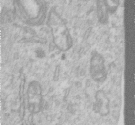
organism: Human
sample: Centriole in RPE cells